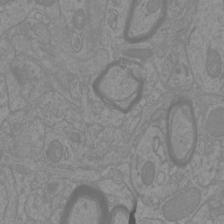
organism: Mouse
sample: Cortical neurons